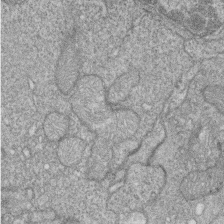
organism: Zebrafish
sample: Cilia; retinal pigment epithelium